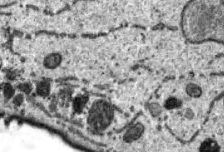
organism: Human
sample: HeLa cells